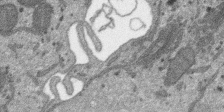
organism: Human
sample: Lung epithelial cells infected with SARS-CoV-2